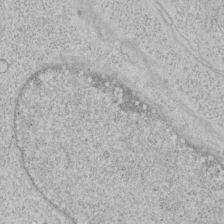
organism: Human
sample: Mitochondria in HCT116 cells